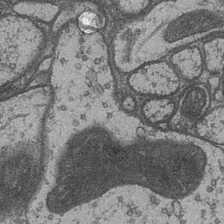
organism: Drosophila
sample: Optic medulla